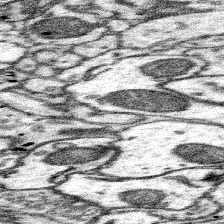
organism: Mouse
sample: Somatosensory cortex neuropil